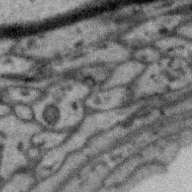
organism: Zebra finch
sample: Brain